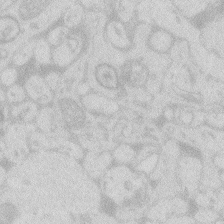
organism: Zebrafish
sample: Macrophage